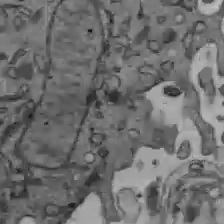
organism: C57BL Mouse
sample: Liver